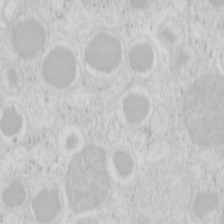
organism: Mouse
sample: Pancreas